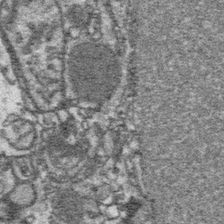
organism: Platynereis dumerilii